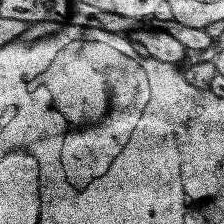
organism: Human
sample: Temporal Lobe